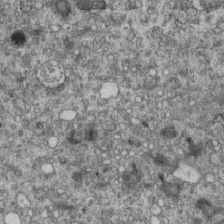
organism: Mouse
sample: Centriole in ependymal cells